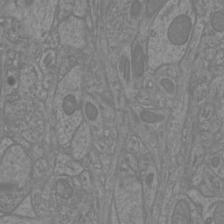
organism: Mouse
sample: Cortical neurons